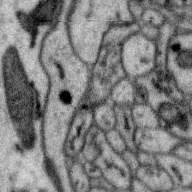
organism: Zebra finch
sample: Brain